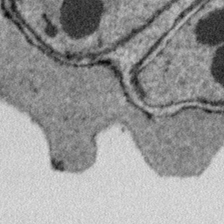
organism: Plasmodium falciparum